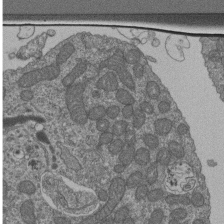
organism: Human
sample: Retinal organoid Rod and Cone cells